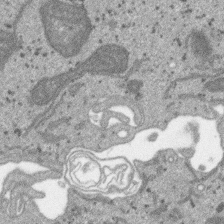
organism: Human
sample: Lung epithelial cells infected with SARS-CoV-2